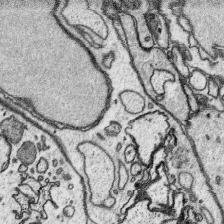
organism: Platynereis dumerilii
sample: Parapodia